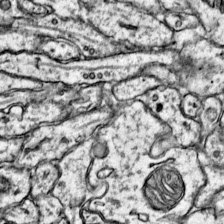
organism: Mouse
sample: Primary visual cortex